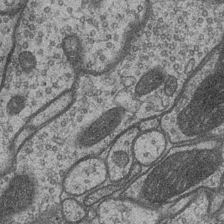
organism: Drosophila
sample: Optic medulla